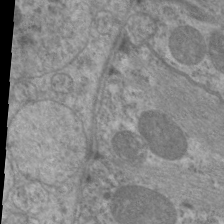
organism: C. elegans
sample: Pharynx